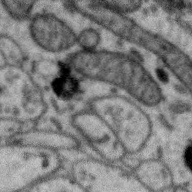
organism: Zebra finch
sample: Brain